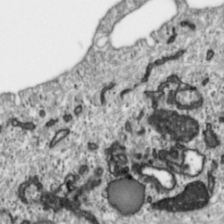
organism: Toxoplasma gondii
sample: Parasites in a vacuole inside a host cell